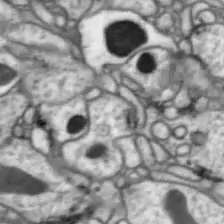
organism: Drosophila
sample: Optic lobe